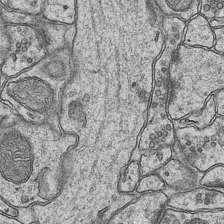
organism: Mouse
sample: CA1 Hippocampus